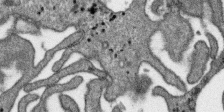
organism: Human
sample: Lung epithelial cells, uninfected (mock) control